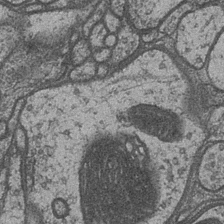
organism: Drosophila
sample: Optic medulla